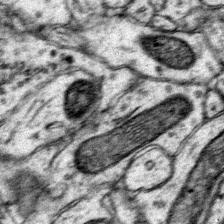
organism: Mouse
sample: Primary visual cortex